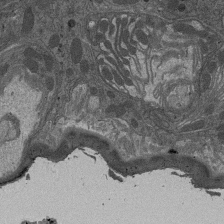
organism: Drosophila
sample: Antenna